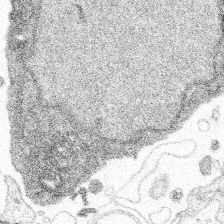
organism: Spongilla lacustris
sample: Multiple